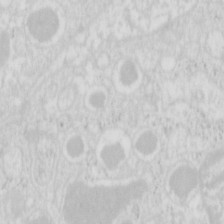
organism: Mouse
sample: Pancreas